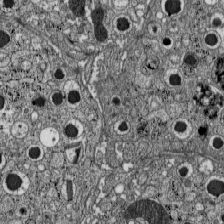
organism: C57BL Mouse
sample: Pancreatic islet